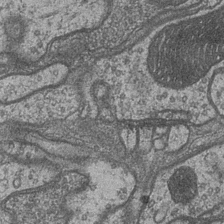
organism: Drosophila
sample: Optic medulla